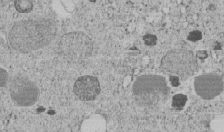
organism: C. elegans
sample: C. elegans embryo early stage